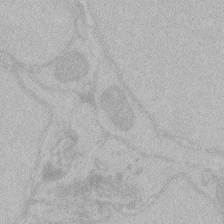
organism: Zebrafish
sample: Macrophage infected with Toxoplasma gondii